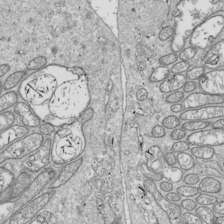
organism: Drosophila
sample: Cell division; meiosis; drosophila spermatocytes